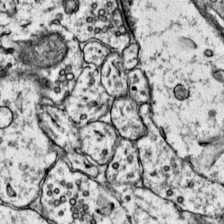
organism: Mouse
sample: Primary visual cortex